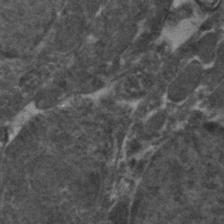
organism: Zebrafish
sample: Zebrafish embryo